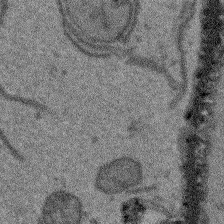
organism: Arabidopsis thaliana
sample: Root tip